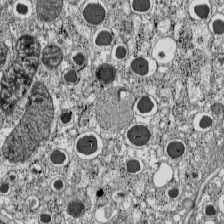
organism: C57BL Mouse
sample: Pancreatic islet